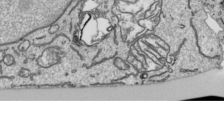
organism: Human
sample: Mitochondria in HCT116 cells